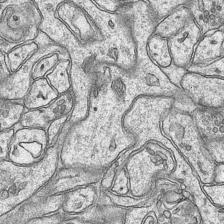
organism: Mouse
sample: CA1 Hippocampus